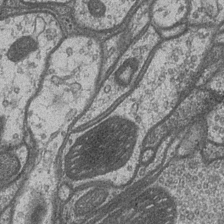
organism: Drosophila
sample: Optic medulla